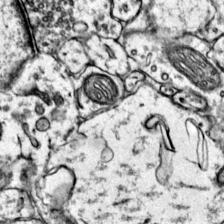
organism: Mouse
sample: Primary visual cortex